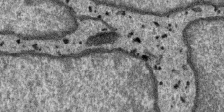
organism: Human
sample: Lung epithelial cells, uninfected (mock) control